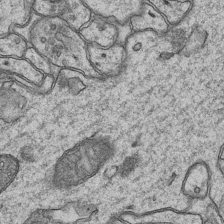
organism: Mouse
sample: CA1 Hippocampus